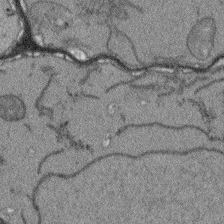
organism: Arabidopsis thaliana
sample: Root tip